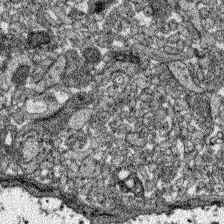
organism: Zebrafish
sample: Larval olfactory bulb